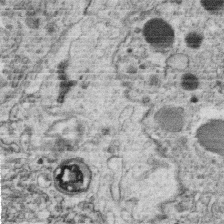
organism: C. elegans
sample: C. elegans oocyte; sperm cells